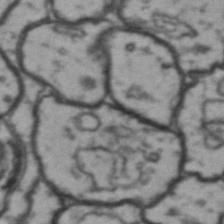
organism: Drosophila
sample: Brain